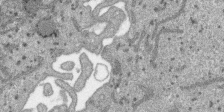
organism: Human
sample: Lung epithelial cells infected with SARS-CoV-2